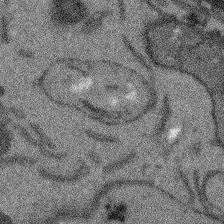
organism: Arabidopsis thaliana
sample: Root tip